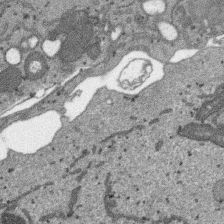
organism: Human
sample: Lung epithelial cells infected with SARS-CoV-2